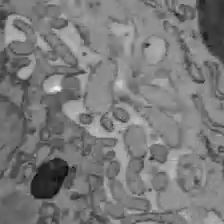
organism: C57BL Mouse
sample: Liver